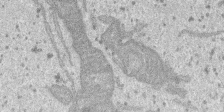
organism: Human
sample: Lung epithelial cells infected with SARS-CoV-2